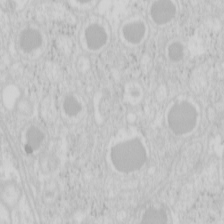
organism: Mouse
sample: Pancreas